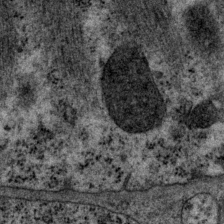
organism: P. pacificus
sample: Pharynx